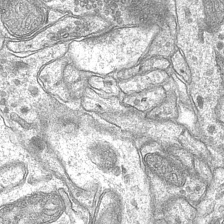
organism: Mouse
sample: CA1 Hippocampus